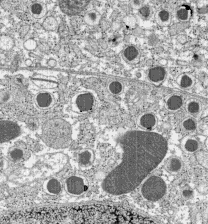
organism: C57BL Mouse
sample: Pancreatic islet